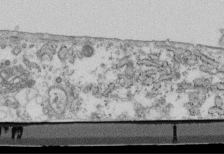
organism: Mouse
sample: Cilia; retinal pigment epithelium